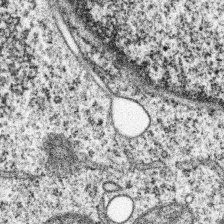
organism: Human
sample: HeLa cells